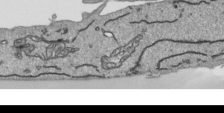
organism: Human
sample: Mitochondria in HCT116 cells